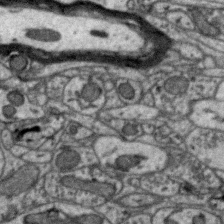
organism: Zebra finch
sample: Brain